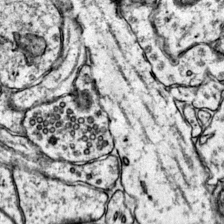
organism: Mouse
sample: Primary visual cortex